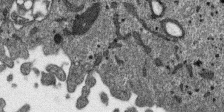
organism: Human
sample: Lung epithelial cells infected with SARS-CoV-2